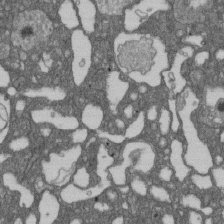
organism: Drosophila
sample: Nephrocyte